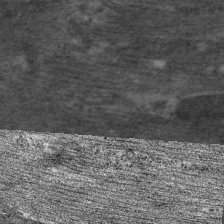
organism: C. elegans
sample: Pharynx